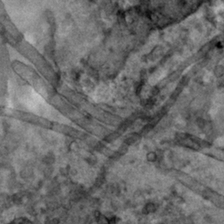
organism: Human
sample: Mitochondria in HCT116 cells